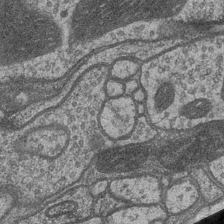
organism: Drosophila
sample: Optic medulla